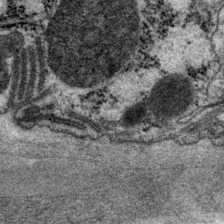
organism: P. pacificus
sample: Pharynx